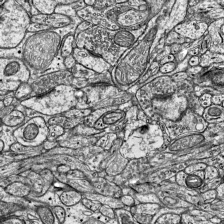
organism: Mouse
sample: Visual Cortex